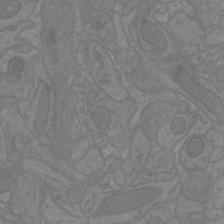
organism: Mouse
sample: Cortical neurons